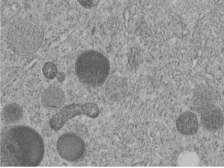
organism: C. elegans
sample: C. elegans embryo early stage